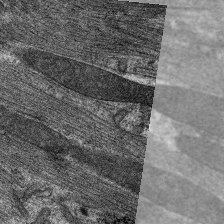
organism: C. elegans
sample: Pharynx